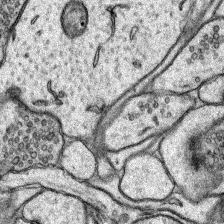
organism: Rat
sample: Hippocampus